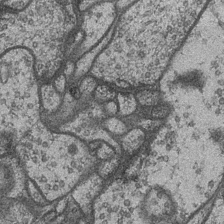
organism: Drosophila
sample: Optic medulla